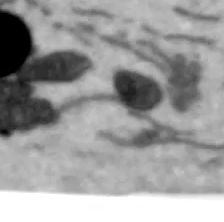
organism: Human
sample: SH-SY5Y cells